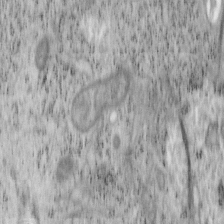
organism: Human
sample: HeLa cells